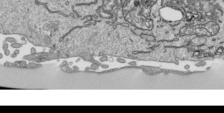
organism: Human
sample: Mitochondria in HCT116 cells